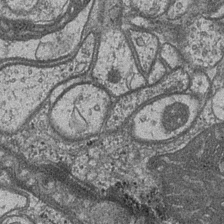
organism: Drosophila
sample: Optic medulla